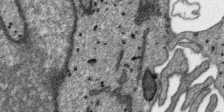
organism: Human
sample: Lung epithelial cells, uninfected (mock) control